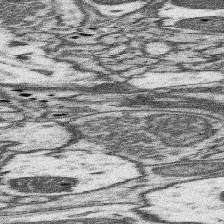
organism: Mouse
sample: Somatosensory cortex neuropil